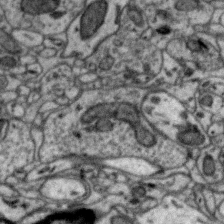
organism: Zebra finch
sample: Brain